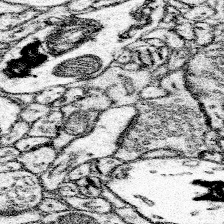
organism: Mouse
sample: Somatosensory cortex neuropil